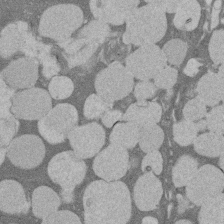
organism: Rat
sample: Salivary granule